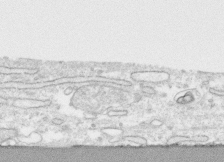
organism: Human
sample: CRL-1474